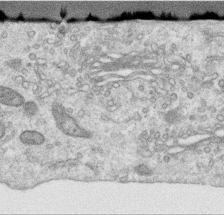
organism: Human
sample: Centriole in RPE cells